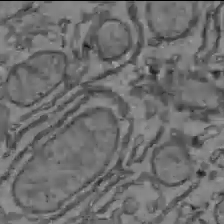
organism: C57BL Mouse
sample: Liver